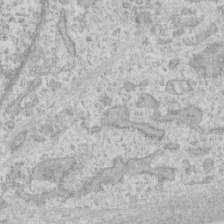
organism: Human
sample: CRL-1474